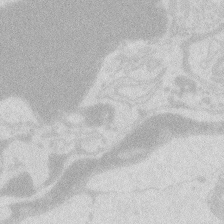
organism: Zebrafish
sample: Macrophage